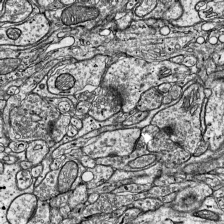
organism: Mouse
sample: Visual Cortex